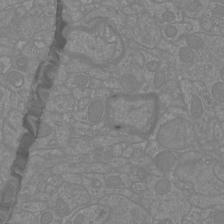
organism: Mouse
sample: Cortical neurons